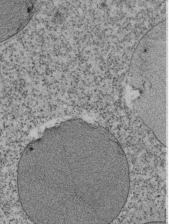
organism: Tetrahymena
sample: Cilia in tetrahymena